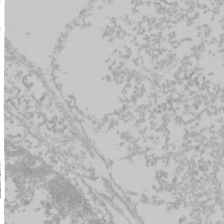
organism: Mouse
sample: Cancer cell death in ED-1 cells